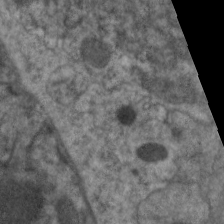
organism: C. elegans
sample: Pharynx